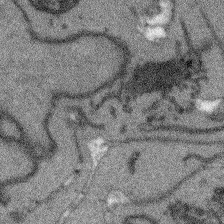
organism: Arabidopsis thaliana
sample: Root tip